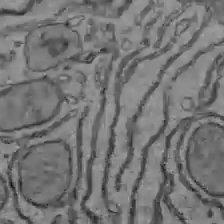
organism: C57BL Mouse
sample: Liver